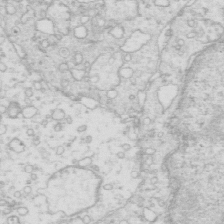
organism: Mouse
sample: Multiciliated cells